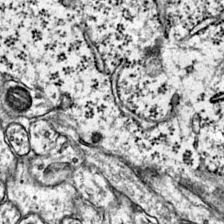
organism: Mouse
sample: Primary visual cortex